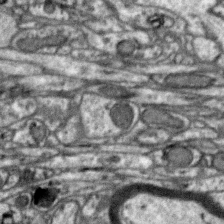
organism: Zebra finch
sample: Brain